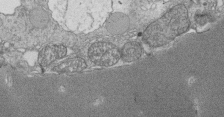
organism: Tetrahymena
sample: Cilia in tetrahymena